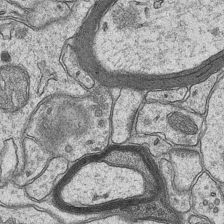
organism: Mouse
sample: CA1 Hippocampus